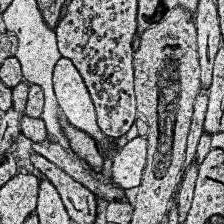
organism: Human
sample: Temporal Lobe